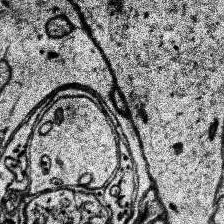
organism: Human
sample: Temporal Lobe